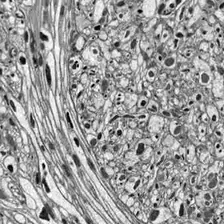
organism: Drosophila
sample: Optic lobe